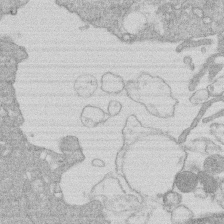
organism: Human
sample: Macrophage cells